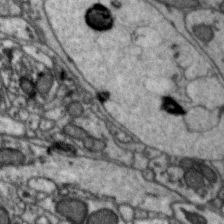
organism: Zebra finch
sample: Brain